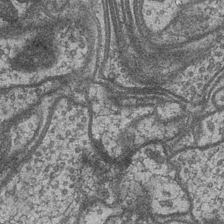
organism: Drosophila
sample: Optic medulla